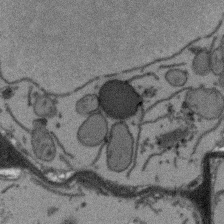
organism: Arabidopsis thaliana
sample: Root tip